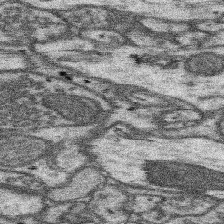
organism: Mouse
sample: Somatosensory cortex neuropil